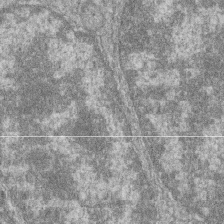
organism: Zebrafish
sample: Cilia; retinal pigment epithelium